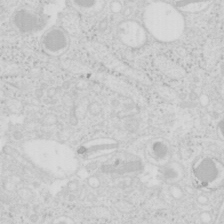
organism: Mouse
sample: Pancreas